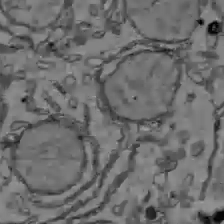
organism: C57BL Mouse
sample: Liver